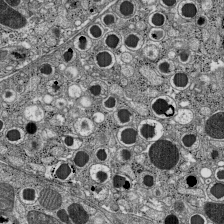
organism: C57BL Mouse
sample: Pancreatic islet